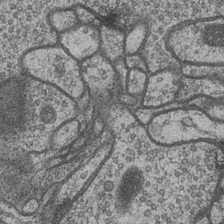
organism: Drosophila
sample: Optic medulla